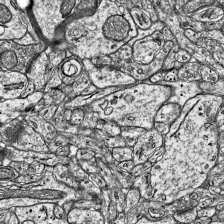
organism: Mouse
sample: Visual Cortex